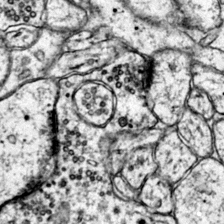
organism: Mouse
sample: Primary visual cortex